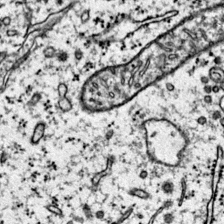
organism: Mouse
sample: Primary visual cortex